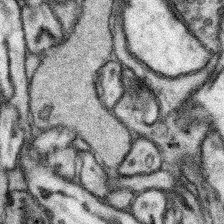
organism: Mouse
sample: Somatosensory cortex neuropil